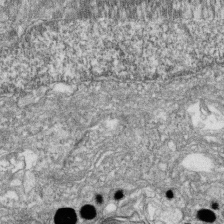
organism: Zebrafish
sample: Cilia; retinal pigment epithelium